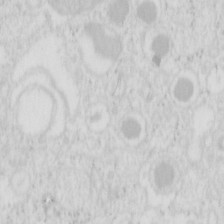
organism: Mouse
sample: Pancreas